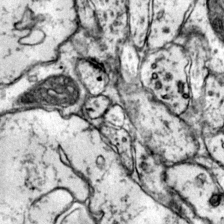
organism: Mouse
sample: Primary visual cortex